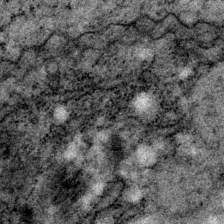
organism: P. pacificus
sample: Pharynx